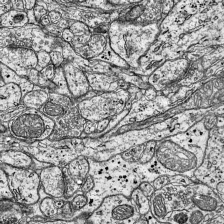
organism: Mouse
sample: Visual Cortex